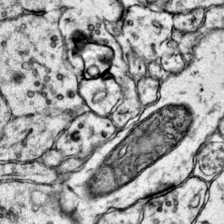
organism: Mouse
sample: Primary visual cortex